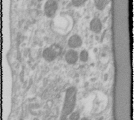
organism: Human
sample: Cilia; basal body in RPE cells